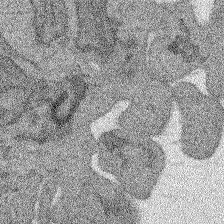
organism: Human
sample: HeLa cells